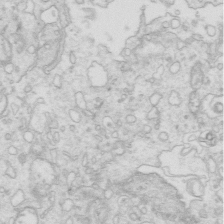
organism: Mouse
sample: Multiciliated cells